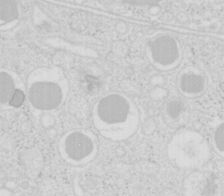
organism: Mouse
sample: Pancreas